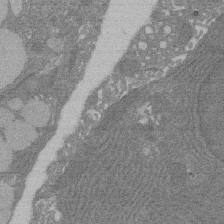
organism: Rat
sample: Salivary granule